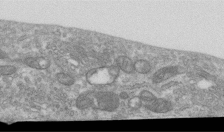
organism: Human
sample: Centriole in RPE cells